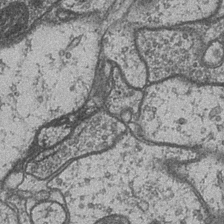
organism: Drosophila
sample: Optic medulla